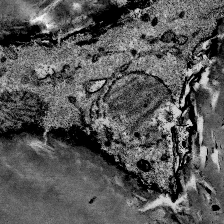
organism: Mouse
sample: Mouse Salivary gland